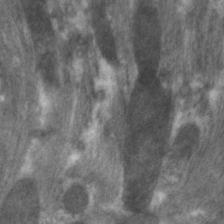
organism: C. elegans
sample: Pharynx